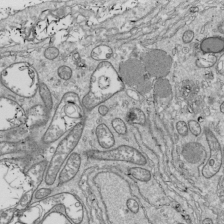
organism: Drosophila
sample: Cell division; meiosis; drosophila spermatocytes